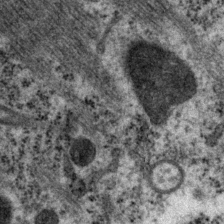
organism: P. pacificus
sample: Pharynx